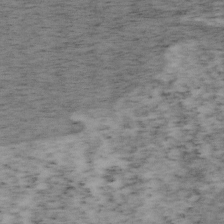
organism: Mouse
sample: OT-I killer T cells with ID8 ovarian cancer cells